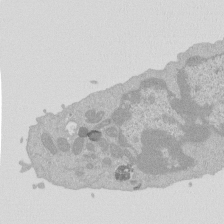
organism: Mouse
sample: Activated Pmel transgenic CD8+ T Cells